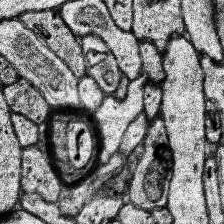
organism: Human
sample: Temporal Lobe